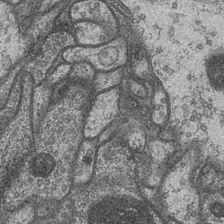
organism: Drosophila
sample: Optic medulla